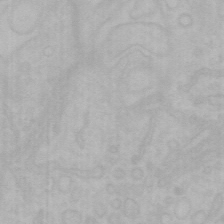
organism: Mouse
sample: Choroid plexus